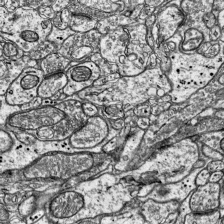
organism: Mouse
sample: Visual Cortex